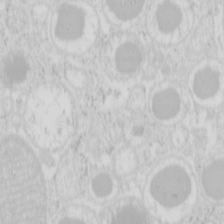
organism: Mouse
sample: Pancreas